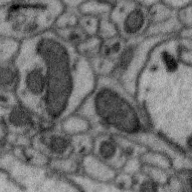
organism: Zebra finch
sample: Brain